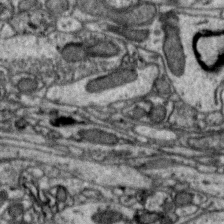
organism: Zebra finch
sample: Brain